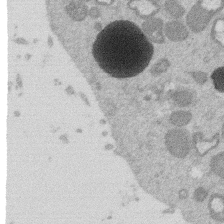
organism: Mouse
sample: Dividing mouse embryo 1 cell stage